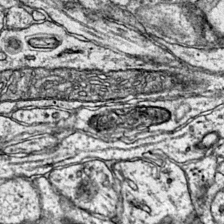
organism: Mouse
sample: Primary visual cortex